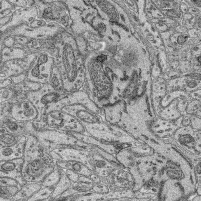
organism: Mouse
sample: Retina